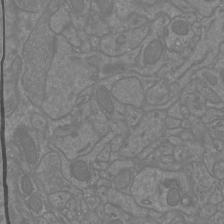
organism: Mouse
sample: Cortical neurons